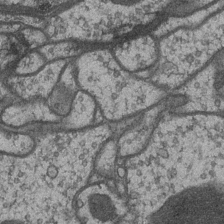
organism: Drosophila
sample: Optic medulla